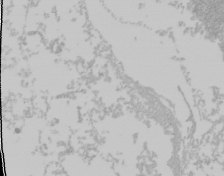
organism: Mouse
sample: Cancer cell death in ED-1 cells